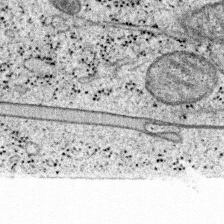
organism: Human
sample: HeLa cells